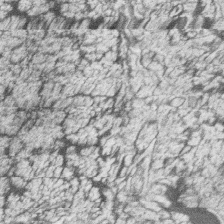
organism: Zebrafish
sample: synaptic ribbons in rod cells and cone cells